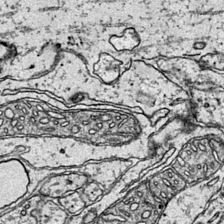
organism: Mouse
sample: Primary visual cortex